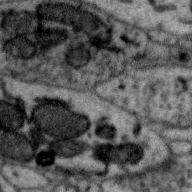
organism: Zebra finch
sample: Brain